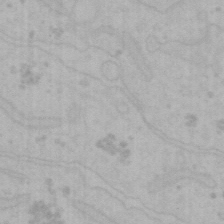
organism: Mouse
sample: Choroid plexus